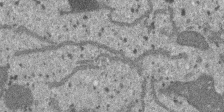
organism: Human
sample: Lung epithelial cells infected with SARS-CoV-2